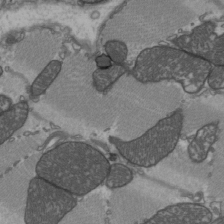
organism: C57BL Mouse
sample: Heart